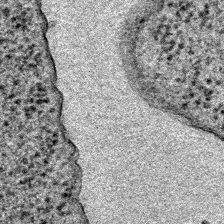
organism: E. coli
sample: E. Coli Bacteria